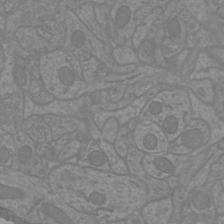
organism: Mouse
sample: Cortical neurons